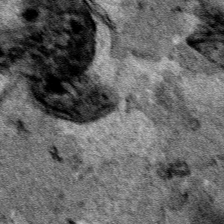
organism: Human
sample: Mitochondria in HCT116 cells